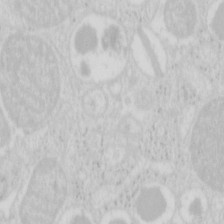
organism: Mouse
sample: Pancreas